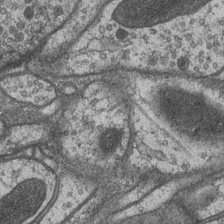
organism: Drosophila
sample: Optic medulla